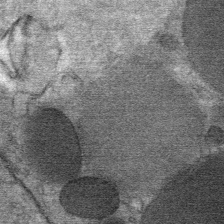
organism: Mouse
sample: Mouse Salivary gland